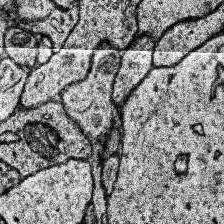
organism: Human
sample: Temporal Lobe